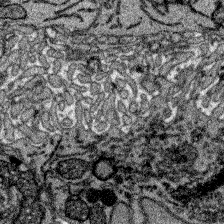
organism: Zebrafish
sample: Larval olfactory bulb